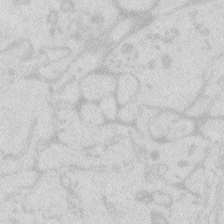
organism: Zebrafish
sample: Macrophage